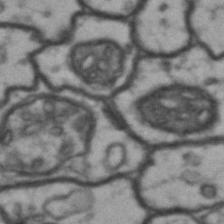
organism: Drosophila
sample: Brain